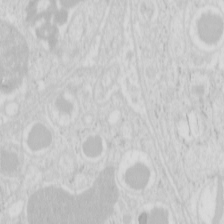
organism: Mouse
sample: Pancreas